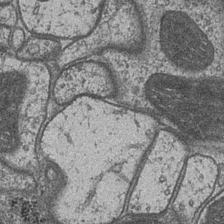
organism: Drosophila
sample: Optic medulla